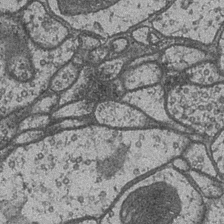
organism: Drosophila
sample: Optic medulla